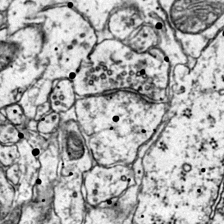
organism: Mouse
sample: Primary visual cortex